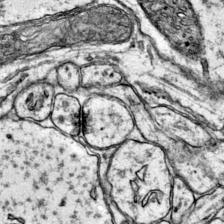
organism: Mouse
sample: Primary visual cortex